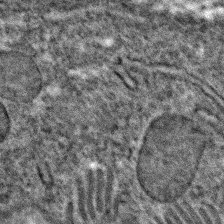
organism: C. elegans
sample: C. elegans embryo